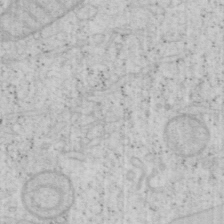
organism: Human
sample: HeLa cells